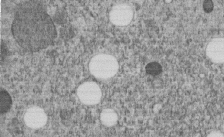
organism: C. elegans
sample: C. elegans embryo early stage